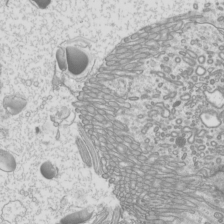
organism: Mouse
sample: Cilia; mouse epididymis